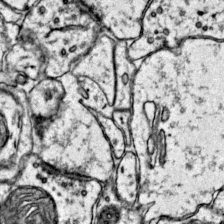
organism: Mouse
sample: Primary visual cortex